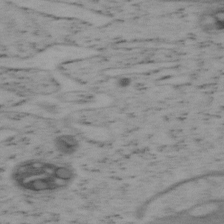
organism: Mouse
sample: OT-I killer T cells with ID8 ovarian cancer cells